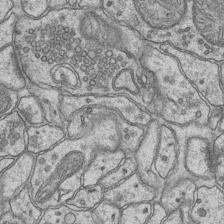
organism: Mouse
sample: CA1 Hippocampus